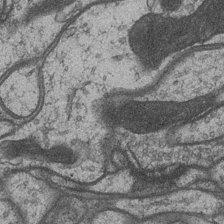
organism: Drosophila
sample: Optic medulla